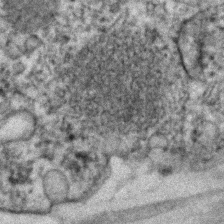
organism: Human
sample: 1205lu cells